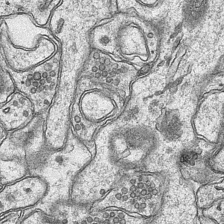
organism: Mouse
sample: CA1 Hippocampus